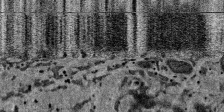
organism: Human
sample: Lung epithelial cells, uninfected (mock) control